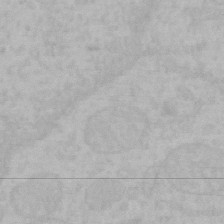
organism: Mouse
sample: Choroid plexus